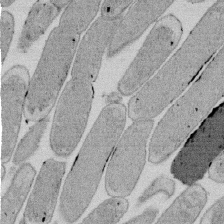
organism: E. coli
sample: Bacterial nucleoid